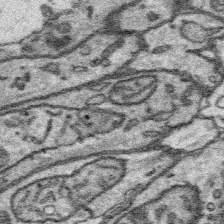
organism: Platynereis dumerilii